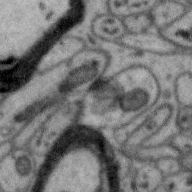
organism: Zebra finch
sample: Brain